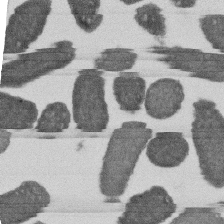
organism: E. coli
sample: Bacterial nucleoid